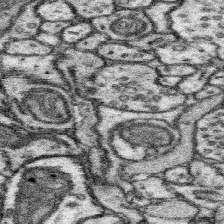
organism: Mouse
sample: Somatosensory cortex neuropil